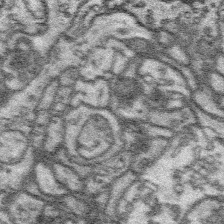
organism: Platynereis dumerilii